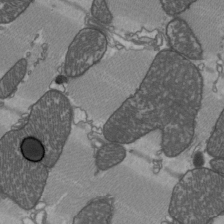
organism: C57BL Mouse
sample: Heart